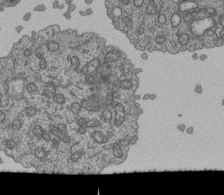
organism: Human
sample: Retinal organoid Rod and Cone cells